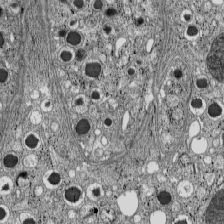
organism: C57BL Mouse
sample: Pancreatic islet